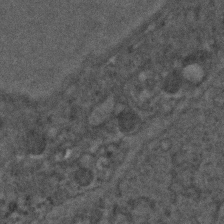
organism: C. elegans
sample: C. elegans embryo